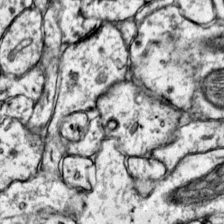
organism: Mouse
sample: Primary visual cortex